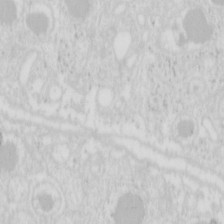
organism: Mouse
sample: Pancreas